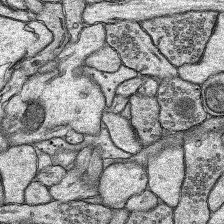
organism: Rat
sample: Hippocampus